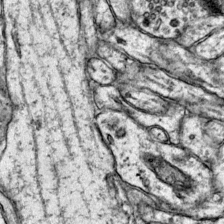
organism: Mouse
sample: Primary visual cortex